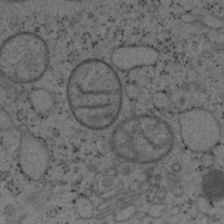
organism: Human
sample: HeLa cells